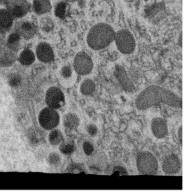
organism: C. elegans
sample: C. elegans oocyte; sperm cells